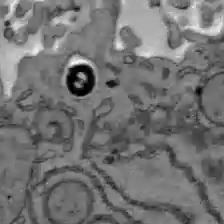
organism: C57BL Mouse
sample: Liver